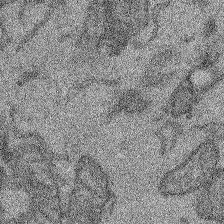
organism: Human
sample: HeLa cells